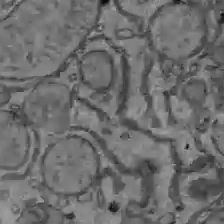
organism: C57BL Mouse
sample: Liver